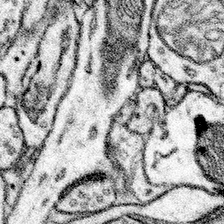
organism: Mouse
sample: Somatosensory cortex neuropil